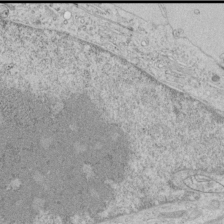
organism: Human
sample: Mitochondria in HCT116 cells